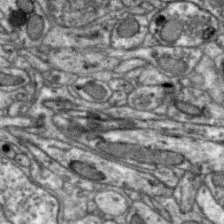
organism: Zebra finch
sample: Brain